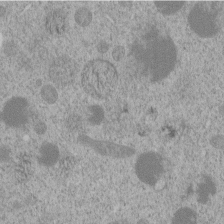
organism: C. elegans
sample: C. elegans embryo early stage